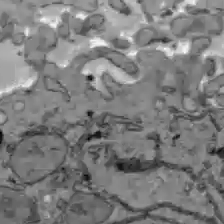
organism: C57BL Mouse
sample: Liver